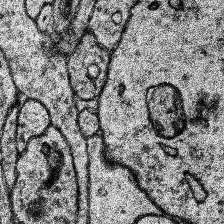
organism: Human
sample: Temporal Lobe